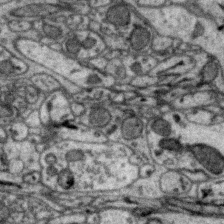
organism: Zebra finch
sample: Brain